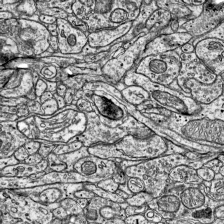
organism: Mouse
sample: Visual Cortex